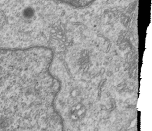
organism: Human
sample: MDA-MB-231 cells